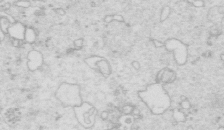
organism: Mouse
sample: Multiciliated cells